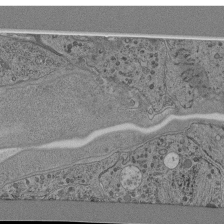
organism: C. elegans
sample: C. elegans pharynx